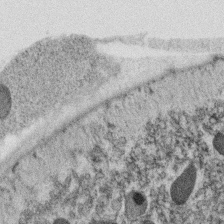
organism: C. elegans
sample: C. elegans oocyte; sperm cells